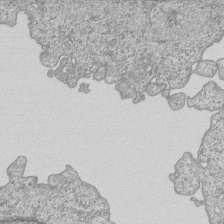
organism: Human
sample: MDA-MB-231 cells